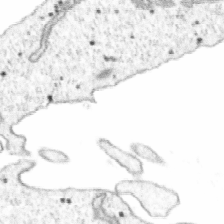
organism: Human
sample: HeLa cells